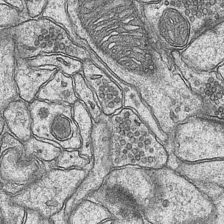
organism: Mouse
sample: CA1 Hippocampus